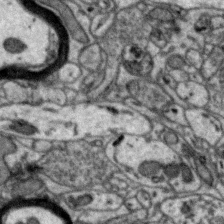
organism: Zebra finch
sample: Brain